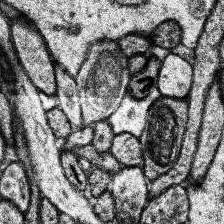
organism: Human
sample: Temporal Lobe